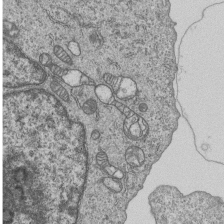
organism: Human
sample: MDA-MB-231 cells